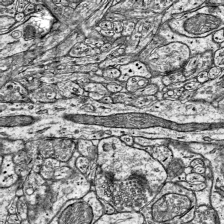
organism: Mouse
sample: Visual Cortex